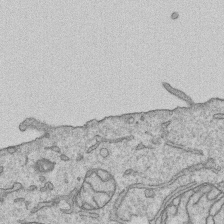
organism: Human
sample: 1205lu cells